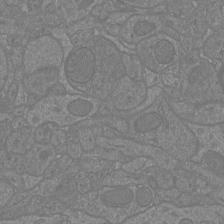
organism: Mouse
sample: Cortical neurons